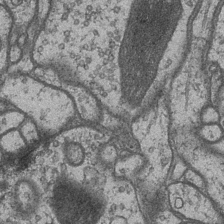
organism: Drosophila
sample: Optic medulla